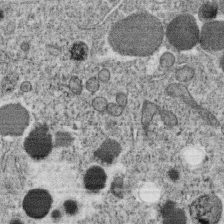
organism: C. elegans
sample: C. elegans oocyte; sperm cells